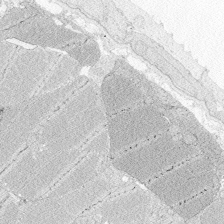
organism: Zebrafish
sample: Whole-Brain